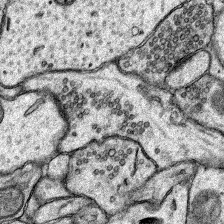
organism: Rat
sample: Hippocampus